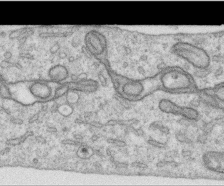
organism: Human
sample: Centriole in RPE cells